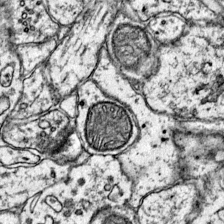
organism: Mouse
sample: Primary visual cortex